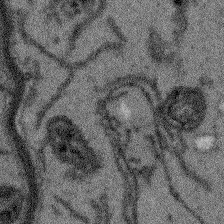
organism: Arabidopsis thaliana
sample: Root tip